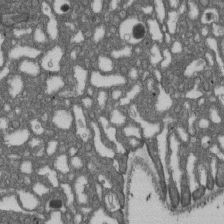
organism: Drosophila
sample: Nephrocyte